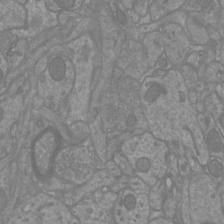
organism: Mouse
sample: Cortical neurons